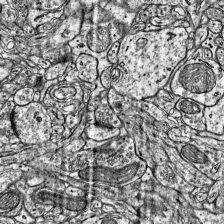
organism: Mouse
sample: Visual Cortex